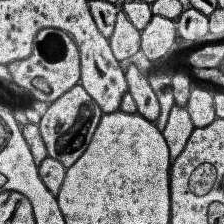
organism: Human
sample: Temporal Lobe